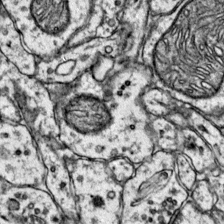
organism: Mouse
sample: Primary visual cortex